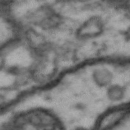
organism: Drosophila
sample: Brain